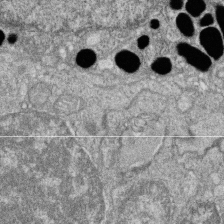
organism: Zebrafish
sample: Cilia; retinal pigment epithelium